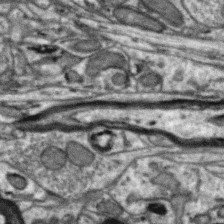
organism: Zebra finch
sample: Brain